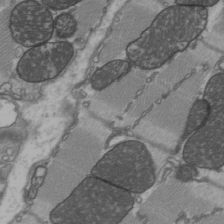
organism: C57BL Mouse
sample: Heart